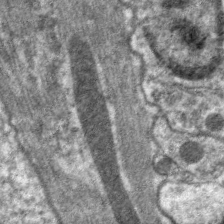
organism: C. elegans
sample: Pharynx